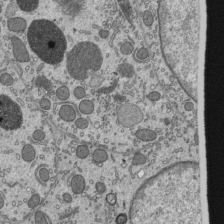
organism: Mouse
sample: Mouse epididymis efferent ductule cilia